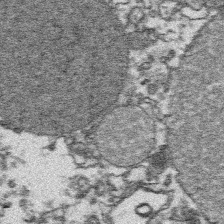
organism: Platynereis dumerilii